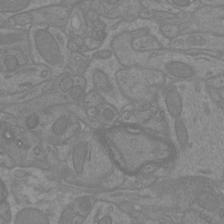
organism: Mouse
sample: Cortical neurons